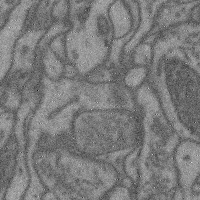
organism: Mouse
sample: Cerebral cortex